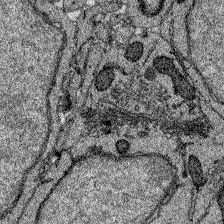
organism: Zebrafish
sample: Larval olfactory bulb